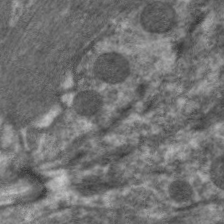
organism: C. elegans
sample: Pharynx